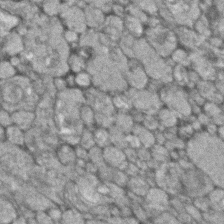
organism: Zebrafish